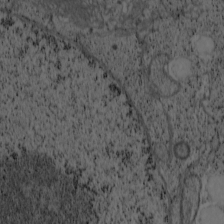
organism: African green monkey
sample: COS-7 cells